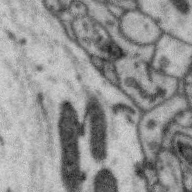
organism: Zebra finch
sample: Brain